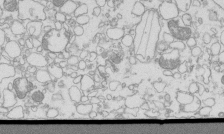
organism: Mouse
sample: Macrophages